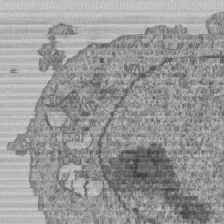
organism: Human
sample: MDA-MB-231 cells